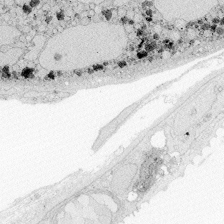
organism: Zebrafish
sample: Whole-Brain